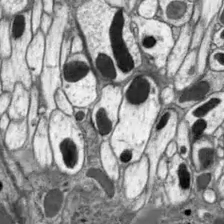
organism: Drosophila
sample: Optic lobe